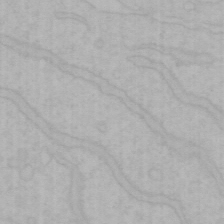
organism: Mouse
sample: Choroid plexus